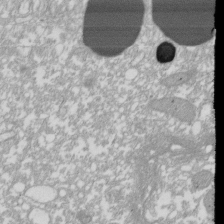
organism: Xenopus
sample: Cilia; centrioles in frog embryo cells